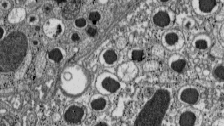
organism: C57BL Mouse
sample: Pancreatic islet